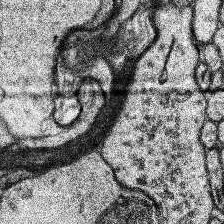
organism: Human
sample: Temporal Lobe